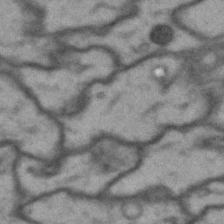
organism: Drosophila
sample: Brain